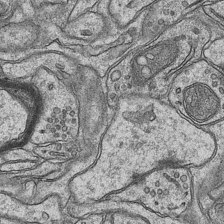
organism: Mouse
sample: CA1 Hippocampus